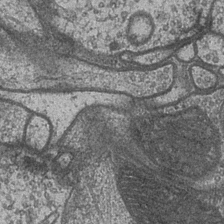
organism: Drosophila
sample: Optic medulla